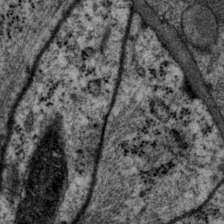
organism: P. pacificus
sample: Pharynx